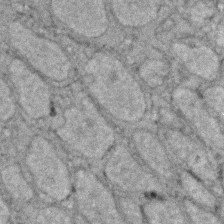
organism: Zebrafish